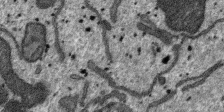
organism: Human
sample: Lung epithelial cells, uninfected (mock) control